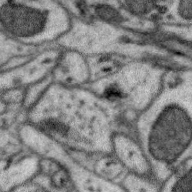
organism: Zebra finch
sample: Brain